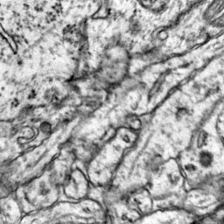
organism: Mouse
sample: Primary visual cortex